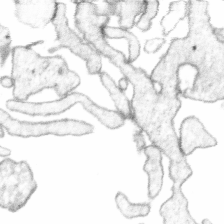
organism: Human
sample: HeLa cells